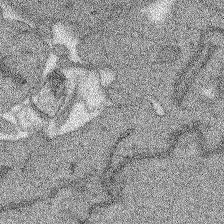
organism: Human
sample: HeLa cells